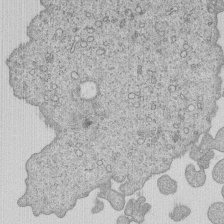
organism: Human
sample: MDA-MB-231 cells